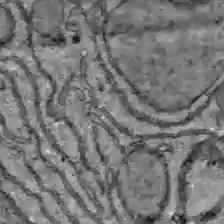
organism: C57BL Mouse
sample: Liver